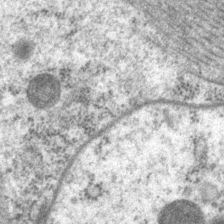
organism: P. pacificus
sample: Pharynx